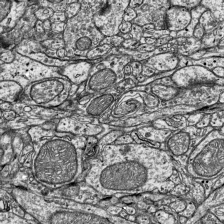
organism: Mouse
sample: Visual Cortex